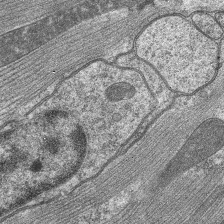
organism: C. elegans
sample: Pharynx